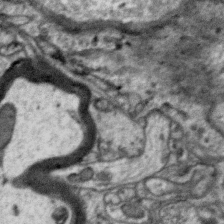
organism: Zebra finch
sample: Brain